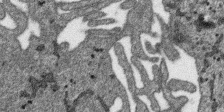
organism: Human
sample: Lung epithelial cells infected with SARS-CoV-2